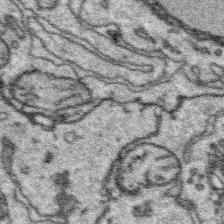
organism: Platynereis dumerilii